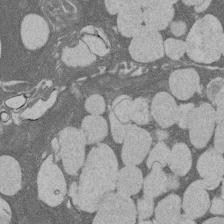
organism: Rat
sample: Salivary granule